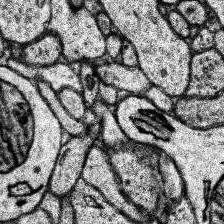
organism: Human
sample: Temporal Lobe